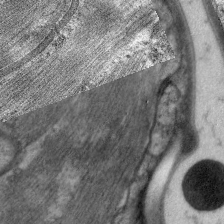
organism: C. elegans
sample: Pharynx